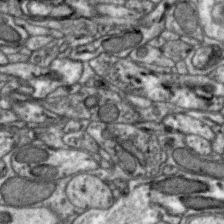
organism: Zebra finch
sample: Brain